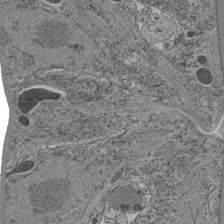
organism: C. elegans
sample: C. elegans pharynx